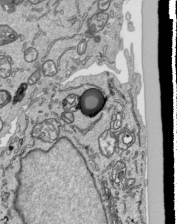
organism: Human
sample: Mitochondria in HCT116 cells